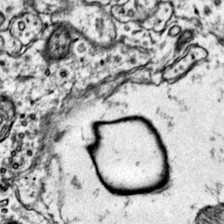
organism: Mouse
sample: Primary visual cortex